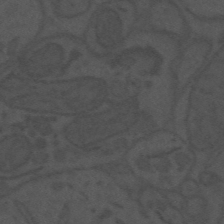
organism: Mouse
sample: Suprachiasmatic nucleus